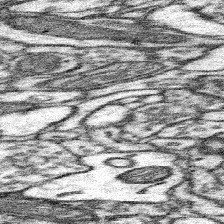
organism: Mouse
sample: Somatosensory cortex neuropil